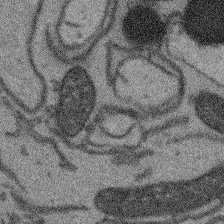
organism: Arabidopsis thaliana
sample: Root tip